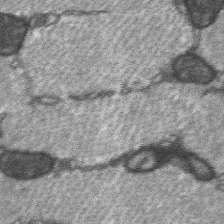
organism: C57BL Mouse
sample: Soleus